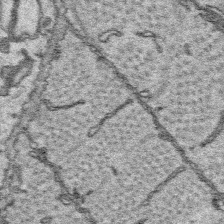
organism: Platynereis dumerilii